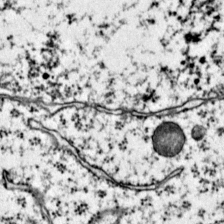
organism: Mouse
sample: Primary visual cortex